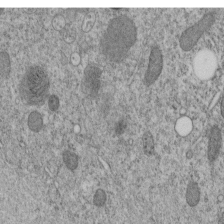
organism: C. elegans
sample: C. elegans embryo early stage